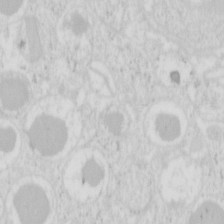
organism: Mouse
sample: Pancreas